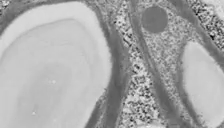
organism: Chlamydomonas reinhardtii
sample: Whole Cell